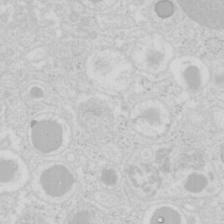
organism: Mouse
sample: Pancreas